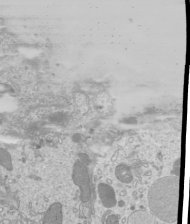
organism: Mouse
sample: Cilia; mouse epididymis